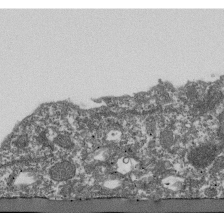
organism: Dictyostelium discoideum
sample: Dictyostelium multivesicular bodies